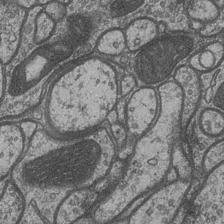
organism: Drosophila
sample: Optic medulla